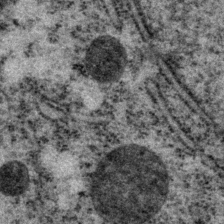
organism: P. pacificus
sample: Pharynx